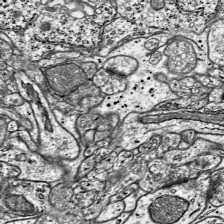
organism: Mouse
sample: Visual Cortex